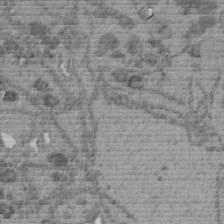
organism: C. elegans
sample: C. elegans embryo early stage